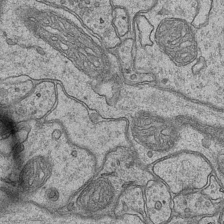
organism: Mouse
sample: CA1 Hippocampus